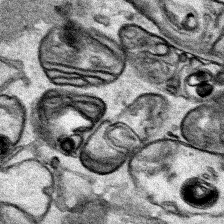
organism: Human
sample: Mitochondria in HCT116 cells